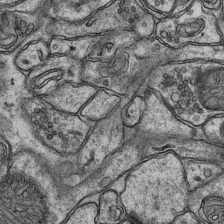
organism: Mouse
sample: CA1 Hippocampus